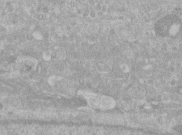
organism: Human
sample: Centriole in RPE cells